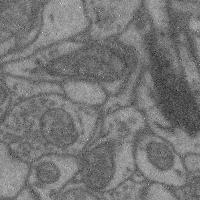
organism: Mouse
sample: Cerebral cortex